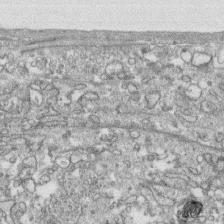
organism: Human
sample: CRL-1474